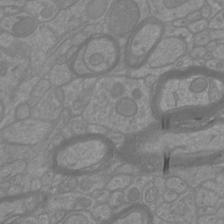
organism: Mouse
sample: Cortical neurons